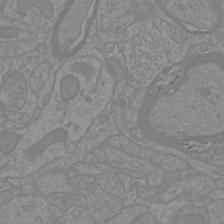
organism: Mouse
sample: Cortical neurons